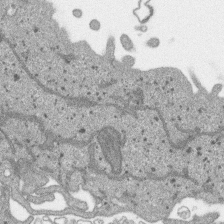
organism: Human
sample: Lung epithelial cells infected with SARS-CoV-2